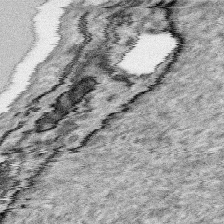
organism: Human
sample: HeLa cells